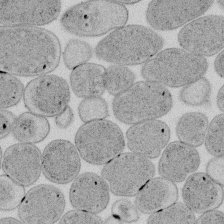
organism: E. coli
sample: Bacterial nucleoid